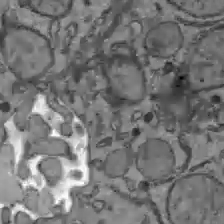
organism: C57BL Mouse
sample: Liver